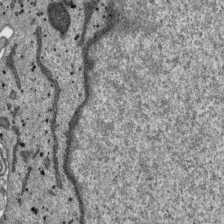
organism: Human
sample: Lung epithelial cells, uninfected (mock) control